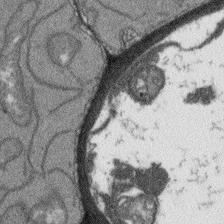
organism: Arabidopsis thaliana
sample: Root tip